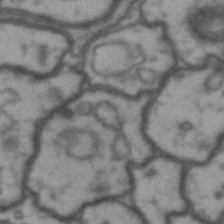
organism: Drosophila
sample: Brain